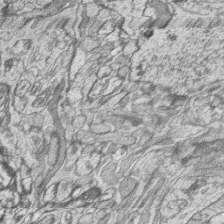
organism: Zebrafish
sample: synaptic ribbons in rod cells and cone cells